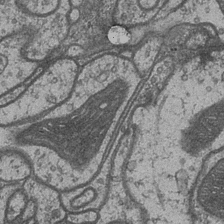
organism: Drosophila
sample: Optic medulla